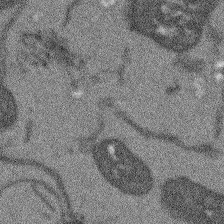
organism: Arabidopsis thaliana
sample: Root tip